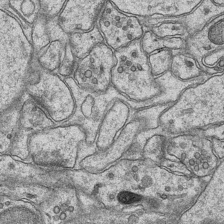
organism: Mouse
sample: CA1 Hippocampus